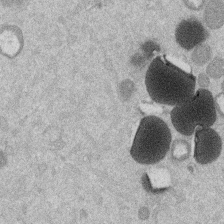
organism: Mouse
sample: Dividing mouse embryo 1 cell stage